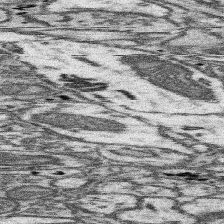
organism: Mouse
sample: Somatosensory cortex neuropil